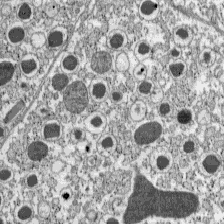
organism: C57BL Mouse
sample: Pancreatic islet